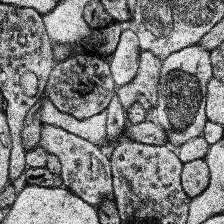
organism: Human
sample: Temporal Lobe